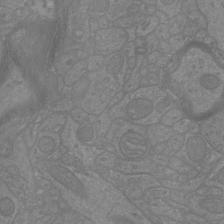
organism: Mouse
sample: Cortical neurons